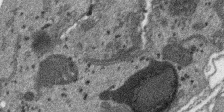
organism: Human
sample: Lung epithelial cells infected with SARS-CoV-2